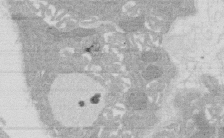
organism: Rat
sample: Salivary granule